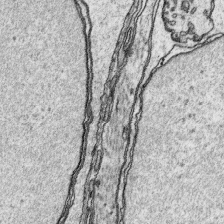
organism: Platynereis dumerilii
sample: Parapodia